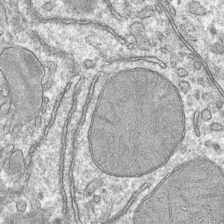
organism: Mouse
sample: Mouse hepatocytes